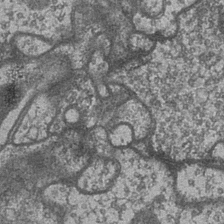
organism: Drosophila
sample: Optic medulla